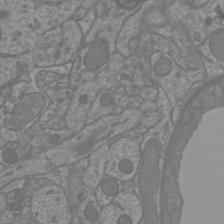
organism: Mouse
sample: Cortical neurons